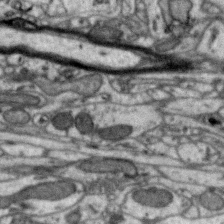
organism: Zebra finch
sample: Brain